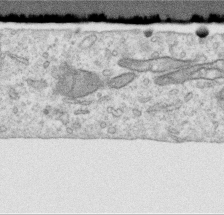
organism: Human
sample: Centriole in RPE cells